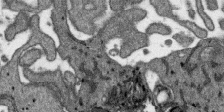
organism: Human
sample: Lung epithelial cells, uninfected (mock) control